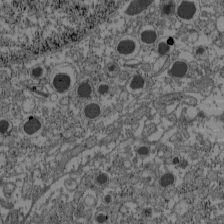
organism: C57BL Mouse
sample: Pancreatic islet